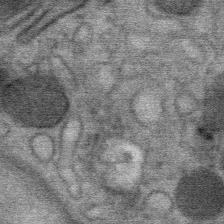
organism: Mouse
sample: Mouse Salivary gland